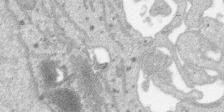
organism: Human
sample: Lung epithelial cells infected with SARS-CoV-2